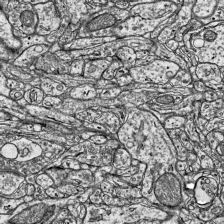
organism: Mouse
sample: Visual Cortex